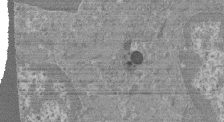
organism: Mouse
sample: Glomerulus